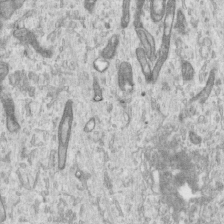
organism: Human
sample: Centriole in RPE cells